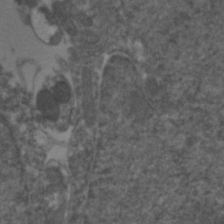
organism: Zebrafish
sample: Zebrafish embryo